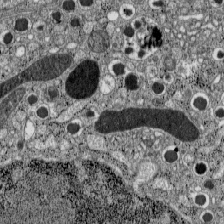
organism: C57BL Mouse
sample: Pancreatic islet